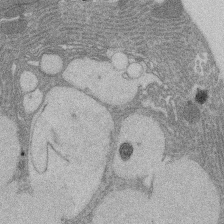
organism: Rat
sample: Salivary granule